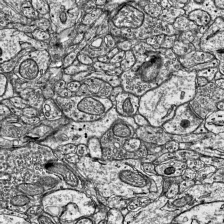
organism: Mouse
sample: Visual Cortex